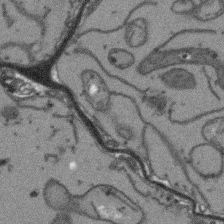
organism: Arabidopsis thaliana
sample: Root tip